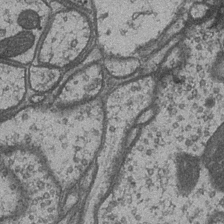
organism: Drosophila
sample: Optic medulla